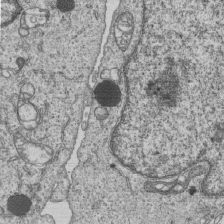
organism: Human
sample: MDA-MB-231 cells